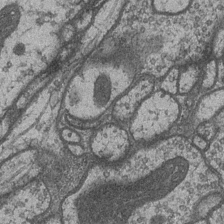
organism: Drosophila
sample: Optic medulla